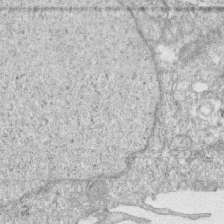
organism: Human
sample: HeLa cell HIV synapse